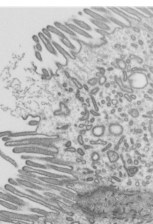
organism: Mouse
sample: Mouse epididymis efferent ductule cilia